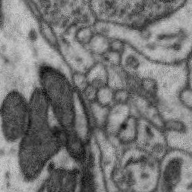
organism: Zebra finch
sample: Brain